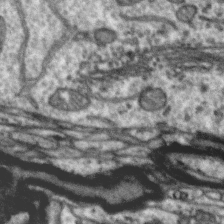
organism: Zebra finch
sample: Brain